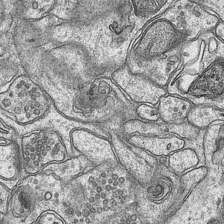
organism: Mouse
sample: CA1 Hippocampus